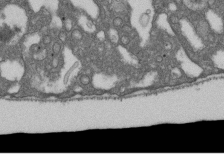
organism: Drosophila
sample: Nephrocyte